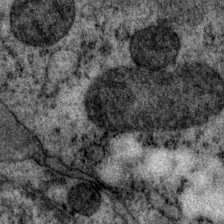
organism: P. pacificus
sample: Pharynx